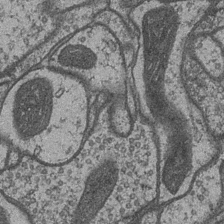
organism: Drosophila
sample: Optic medulla